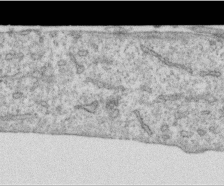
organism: Human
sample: Centriole in RPE cells